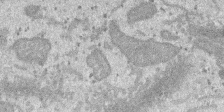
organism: Human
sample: Lung epithelial cells infected with SARS-CoV-2